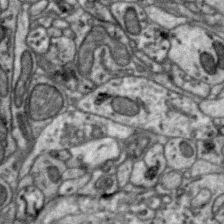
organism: Zebra finch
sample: Brain